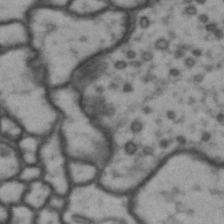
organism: Drosophila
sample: Brain